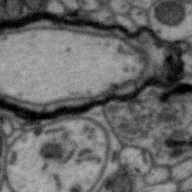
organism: Zebra finch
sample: Brain